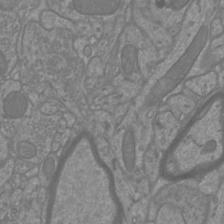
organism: Mouse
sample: Cortical neurons